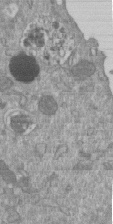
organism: Mouse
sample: ED-1 cell nuclei; centrioles